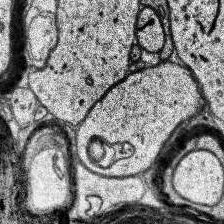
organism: Human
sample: Temporal Lobe